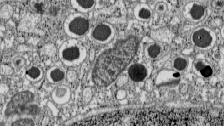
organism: C57BL Mouse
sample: Pancreatic islet